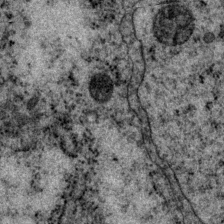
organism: P. pacificus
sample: Pharynx